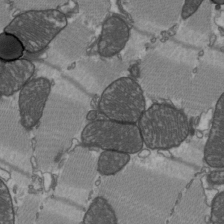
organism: C57BL Mouse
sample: Heart